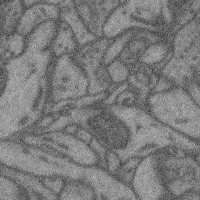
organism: Mouse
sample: Cerebral cortex